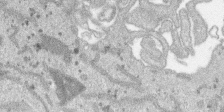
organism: Human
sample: Lung epithelial cells infected with SARS-CoV-2